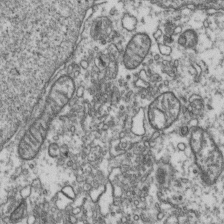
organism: Human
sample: Activated Jurkat CD4+ T cells